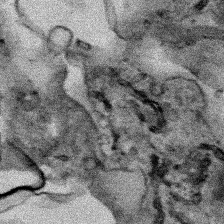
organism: Human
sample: Mitochondria in HCT116 cells